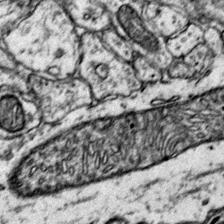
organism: Mouse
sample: Primary visual cortex